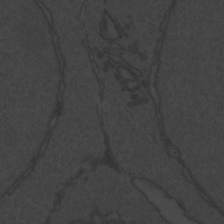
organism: Zebrafish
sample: Macrophage infected with Toxoplasma gondii